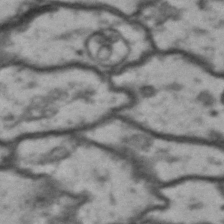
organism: Drosophila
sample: Brain